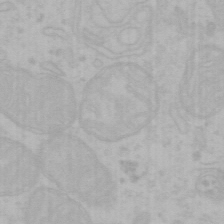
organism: Mouse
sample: Choroid plexus